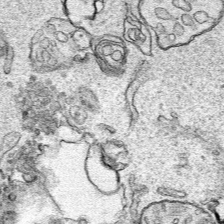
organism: Human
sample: Mitochondria in HCT116 cells